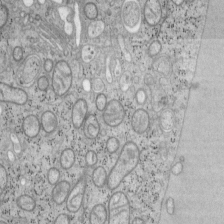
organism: Mouse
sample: OT-I killer T cells with ID8 ovarian cancer cells